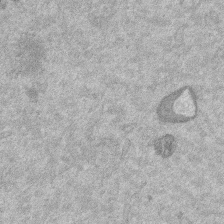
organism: Mouse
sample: Dividing mouse embryo 1 cell stage